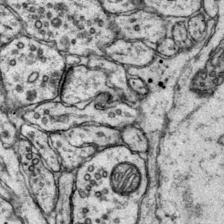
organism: Mouse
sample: Primary visual cortex